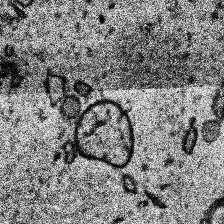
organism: Human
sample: Temporal Lobe